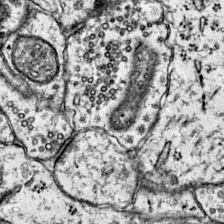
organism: Mouse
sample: Primary visual cortex